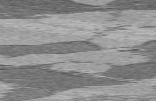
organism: C57BL Mouse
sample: Heart